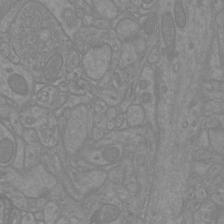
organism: Mouse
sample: Cortical neurons